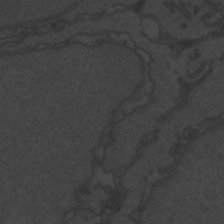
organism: Zebrafish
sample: Macrophage infected with Toxoplasma gondii